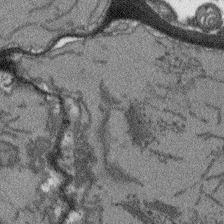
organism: Arabidopsis thaliana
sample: Root tip